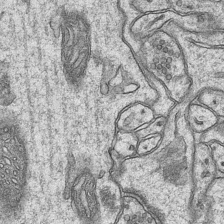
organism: Mouse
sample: CA1 Hippocampus